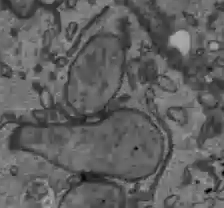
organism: C57BL Mouse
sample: Liver